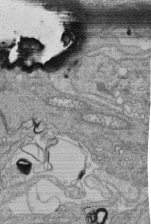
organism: Human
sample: Retinal organoid Rod and Cone cells